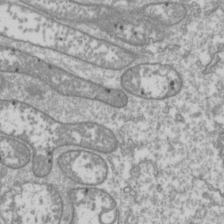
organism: Drosophila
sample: Cell division; meiosis; drosophila spermatocytes